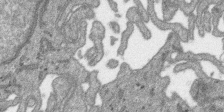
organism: Human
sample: Lung epithelial cells infected with SARS-CoV-2